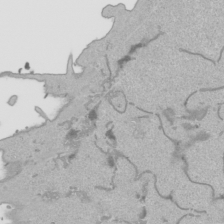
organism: Human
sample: Mitochondria in HCT116 cells